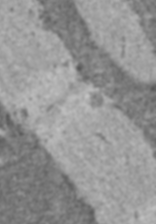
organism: C57BL Mouse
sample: Heart